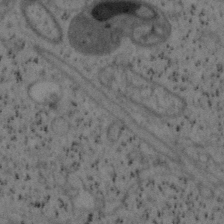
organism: Human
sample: HeLa cells